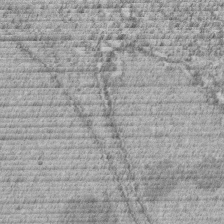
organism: C. elegans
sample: C. elegans embryo early stage